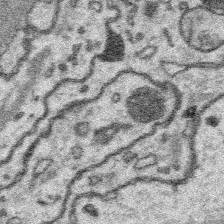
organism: Platynereis dumerilii